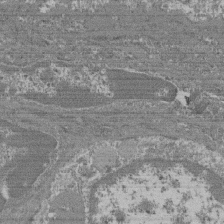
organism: Mouse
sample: Glomerulus